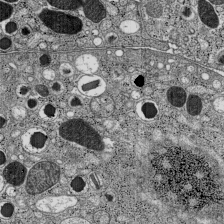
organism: C57BL Mouse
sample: Pancreatic islet